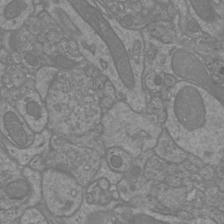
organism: Mouse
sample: Cortical neurons